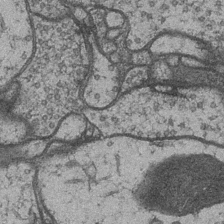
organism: Drosophila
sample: Optic medulla